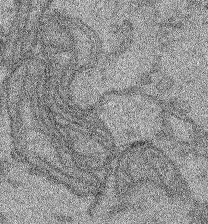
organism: Human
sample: HeLa cells